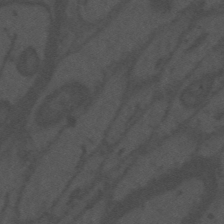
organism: Mouse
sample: Suprachiasmatic nucleus